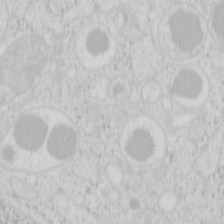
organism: Mouse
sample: Pancreas